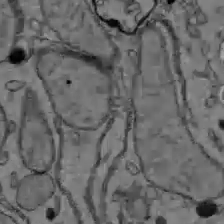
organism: C57BL Mouse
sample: Liver